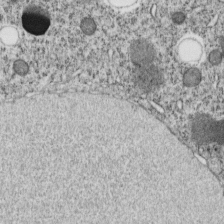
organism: C. elegans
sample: C. elegans embryo early stage